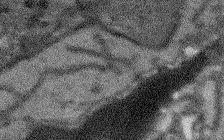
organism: Arabidopsis thaliana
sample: Root tip